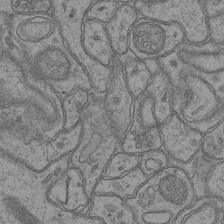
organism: Mouse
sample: CA1 Hippocampus